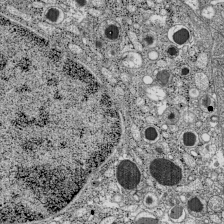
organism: C57BL Mouse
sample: Pancreatic islet